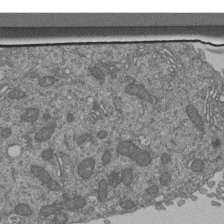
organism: Human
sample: Retinal organoid Rod and Cone cells